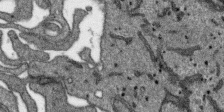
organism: Human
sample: Lung epithelial cells, uninfected (mock) control